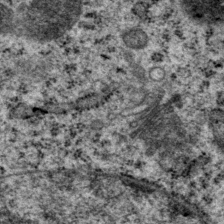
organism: P. pacificus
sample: Pharynx